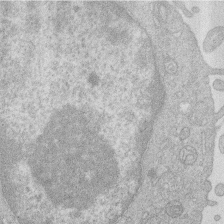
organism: Human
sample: Macrophage cells